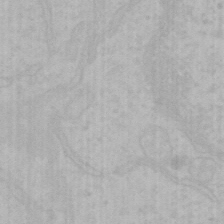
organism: Mouse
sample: Choroid plexus